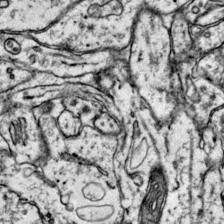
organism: Mouse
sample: Primary visual cortex